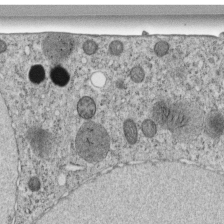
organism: C. elegans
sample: C. elegans embryo early stage